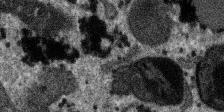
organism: Human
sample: Lung epithelial cells infected with SARS-CoV-2